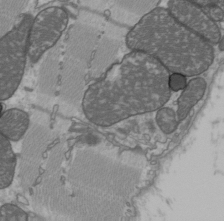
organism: C57BL Mouse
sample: Heart